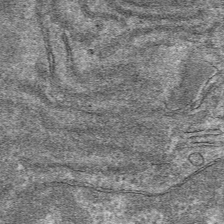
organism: Mouse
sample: Mouse hepatocytes